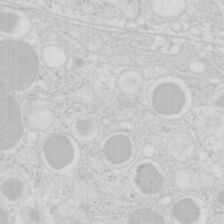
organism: Mouse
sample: Pancreas